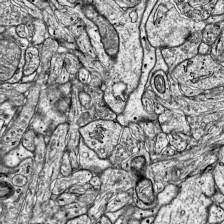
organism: Mouse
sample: Visual Cortex